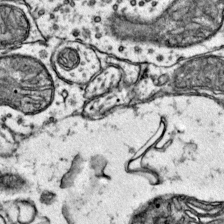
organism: Mouse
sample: Primary visual cortex